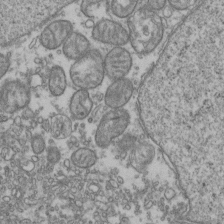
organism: Human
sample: Activated Jurkat CD4+ T cells